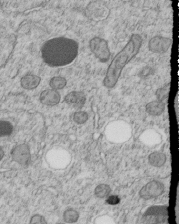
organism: C. elegans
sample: C. elegans embryo early stage